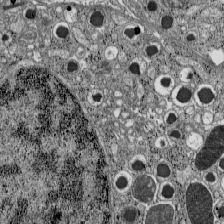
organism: C57BL Mouse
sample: Pancreatic islet